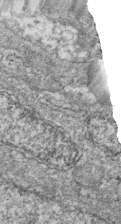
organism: Zebrafish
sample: Cilia; retinal pigment epithelium